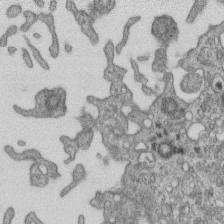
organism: Mouse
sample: Centriole in ependymal cells